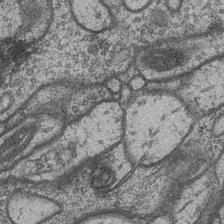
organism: Drosophila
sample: Optic medulla